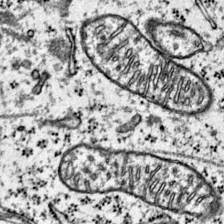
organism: Mouse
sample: Primary visual cortex